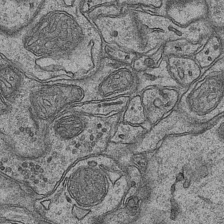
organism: Mouse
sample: CA1 Hippocampus